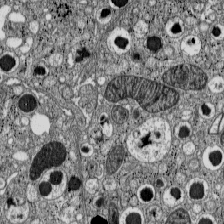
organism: C57BL Mouse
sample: Pancreatic islet